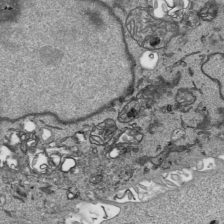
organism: Human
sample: Mitochondria in HCT116 cells